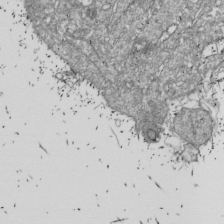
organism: Drosophila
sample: Cell division; meiosis; drosophila spermatocytes